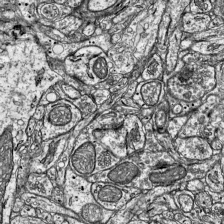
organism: Mouse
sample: Visual Cortex